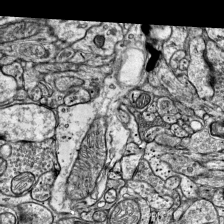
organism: Mouse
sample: Visual Cortex